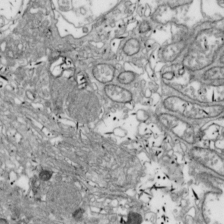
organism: Drosophila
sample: Cell division; meiosis; drosophila spermatocytes